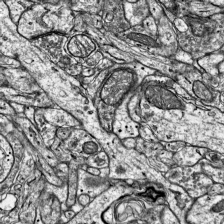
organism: Mouse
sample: Visual Cortex